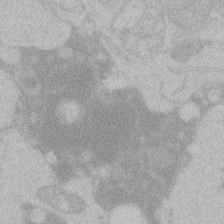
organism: Zebrafish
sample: Macrophage infected with Toxoplasma gondii